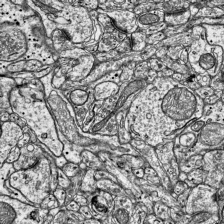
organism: Mouse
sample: Visual Cortex